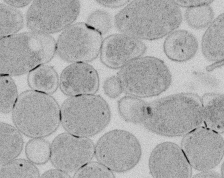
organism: E. coli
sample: Bacterial nucleoid